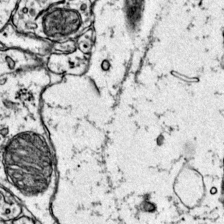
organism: Mouse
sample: Primary visual cortex